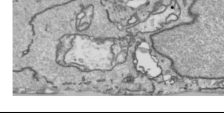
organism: Human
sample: Mitochondria in HCT116 cells